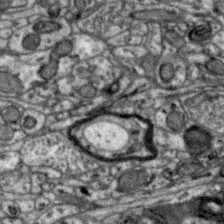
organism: Zebra finch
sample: Brain